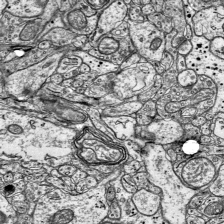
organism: Mouse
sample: Visual Cortex